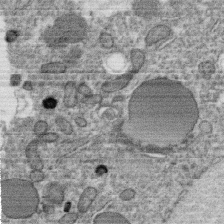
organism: C. elegans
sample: C. elegans oocyte; sperm cells